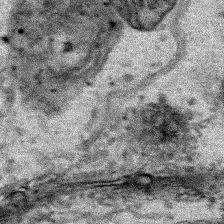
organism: Human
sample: Mitochondria in HCT116 cells